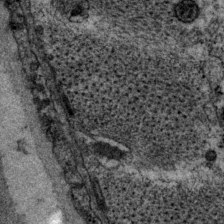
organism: P. pacificus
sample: Pharynx